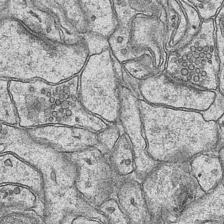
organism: Mouse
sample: CA1 Hippocampus